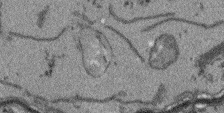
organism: Arabidopsis thaliana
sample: Root tip